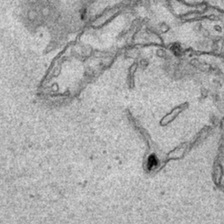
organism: Human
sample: Mitochondria in HCT116 cells